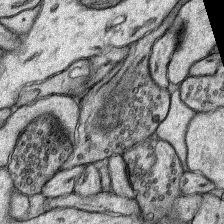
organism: Rat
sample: Hippocampus